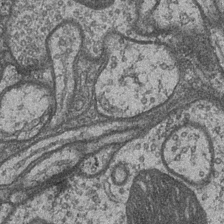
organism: Drosophila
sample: Optic medulla